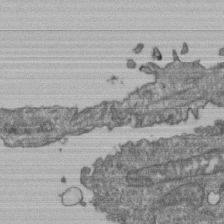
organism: Human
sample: Retinal organoid Rod and Cone cells